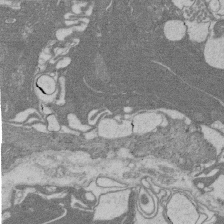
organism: Rat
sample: Salivary granule